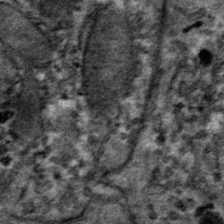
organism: Mouse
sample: Mouse hepatocytes